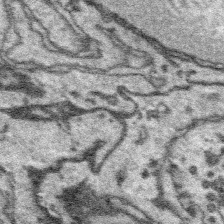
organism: Platynereis dumerilii